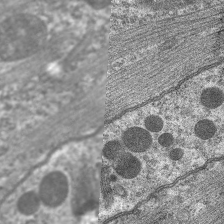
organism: C. elegans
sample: Pharynx